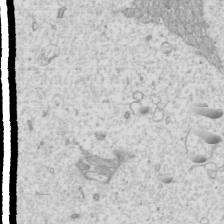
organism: Mouse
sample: Cilia; mouse epididymis